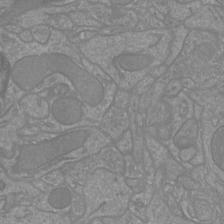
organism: Mouse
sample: Cortical neurons